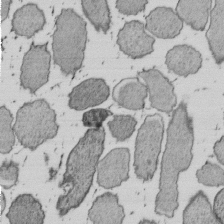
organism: E. coli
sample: Bacterial nucleoid